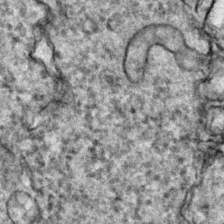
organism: Zebrafish